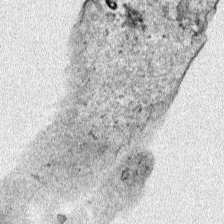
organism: Human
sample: Mitochondria in HCT116 cells